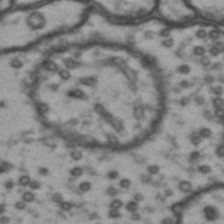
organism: Drosophila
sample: Brain